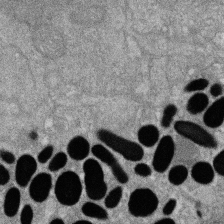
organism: Zebrafish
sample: Cilia; retinal pigment epithelium